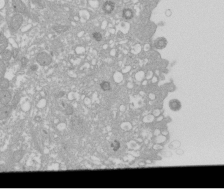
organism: Xenopus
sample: Cilia; centrioles in frog embryo cells